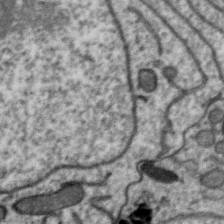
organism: Zebra finch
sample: Brain